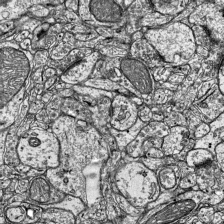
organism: Mouse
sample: Visual Cortex